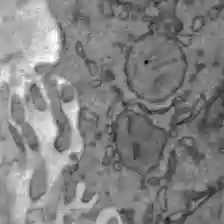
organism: C57BL Mouse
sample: Liver